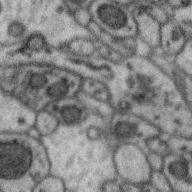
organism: Zebra finch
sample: Brain